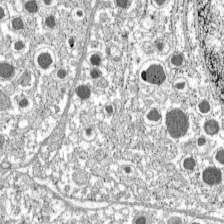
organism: C57BL Mouse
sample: Pancreatic islet